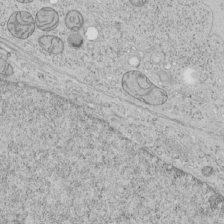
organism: Human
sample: Mitochondria in HCT116 cells